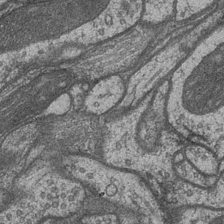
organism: Drosophila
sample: Optic medulla